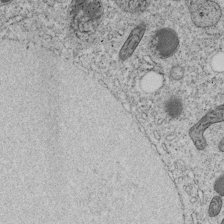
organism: C. elegans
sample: C. elegans embryo early stage